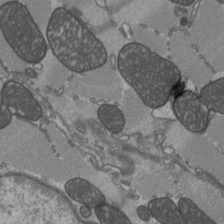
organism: C57BL Mouse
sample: Heart